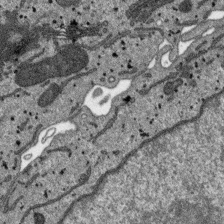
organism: Human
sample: Lung epithelial cells, uninfected (mock) control